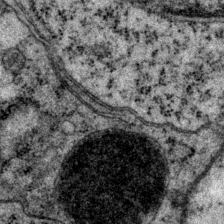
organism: P. pacificus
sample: Pharynx